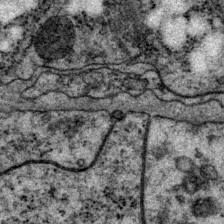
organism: P. pacificus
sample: Pharynx